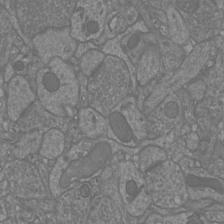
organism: Mouse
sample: Cortical neurons